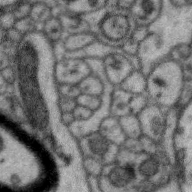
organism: Zebra finch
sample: Brain